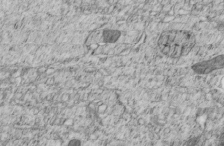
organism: C. elegans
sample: C. elegans embryo early stage